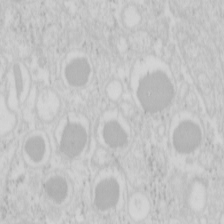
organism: Mouse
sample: Pancreas